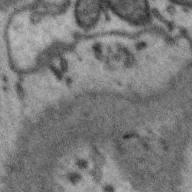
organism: Zebra finch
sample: Brain